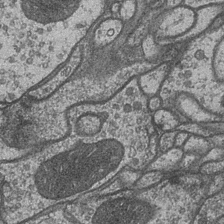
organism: Drosophila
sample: Optic medulla